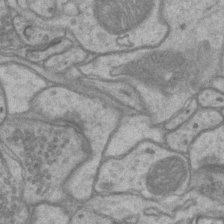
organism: Mouse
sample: CA1 Hippocampus